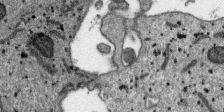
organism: Human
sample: Lung epithelial cells, uninfected (mock) control